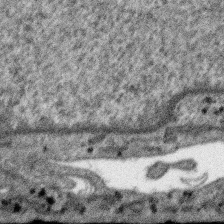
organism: Human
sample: Lung epithelial cells infected with SARS-CoV-2